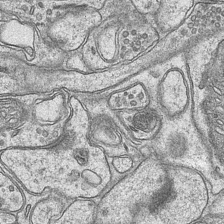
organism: Mouse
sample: CA1 Hippocampus